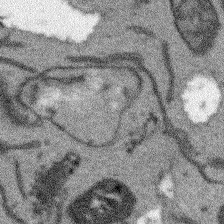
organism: Arabidopsis thaliana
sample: Root tip